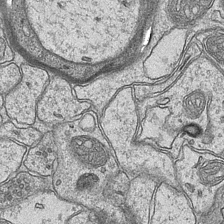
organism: Mouse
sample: CA1 Hippocampus